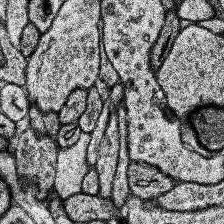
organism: Human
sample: Temporal Lobe